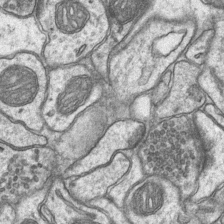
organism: Mouse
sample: CA1 Hippocampus